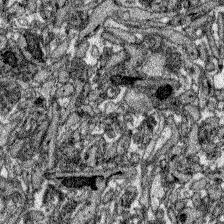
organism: Zebrafish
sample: Larval olfactory bulb